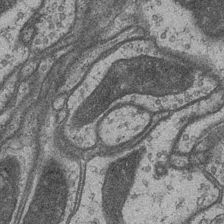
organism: Drosophila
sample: Optic medulla